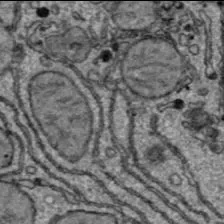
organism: C57BL Mouse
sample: Liver